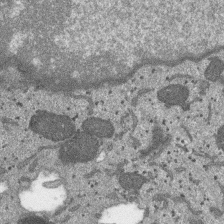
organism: Human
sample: Lung epithelial cells infected with SARS-CoV-2